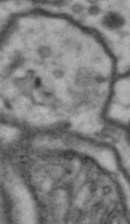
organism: Drosophila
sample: Brain